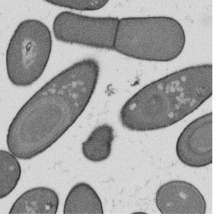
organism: B. subtilis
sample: Bacterial spore